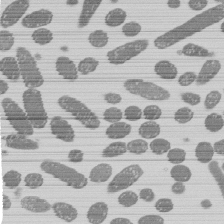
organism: E. coli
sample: Bacterial nucleoid